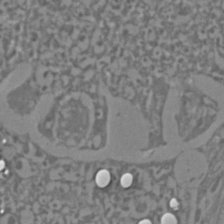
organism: C. elegans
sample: C. elegans embryo